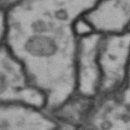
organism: Drosophila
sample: Brain